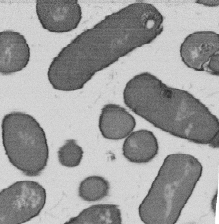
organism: B. subtilis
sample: Bacterial spore